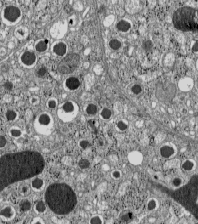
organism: C57BL Mouse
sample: Pancreatic islet